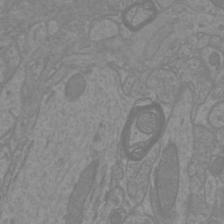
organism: Mouse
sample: Cortical neurons